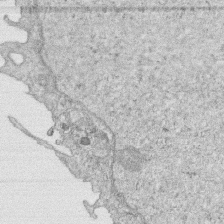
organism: Human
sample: HeLa cell HIV synapse